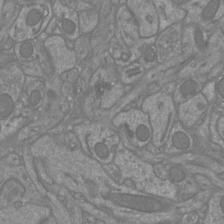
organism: Mouse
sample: Cortical neurons